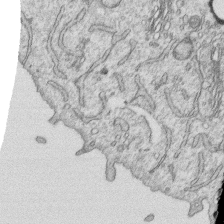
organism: Human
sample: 1205lu cells